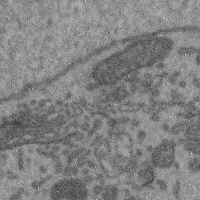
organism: Mouse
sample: Cerebral cortex